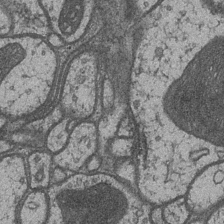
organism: Drosophila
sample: Optic medulla